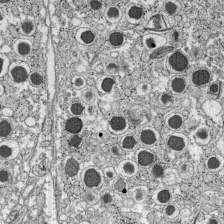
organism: C57BL Mouse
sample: Pancreatic islet